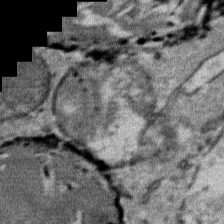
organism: Mouse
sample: Mouse Salivary gland